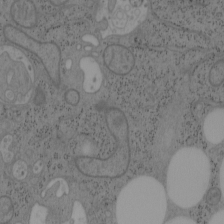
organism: Mouse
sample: OT-I killer T cells with ID8 ovarian cancer cells